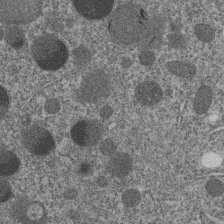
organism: C. elegans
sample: C. elegans embryo early stage